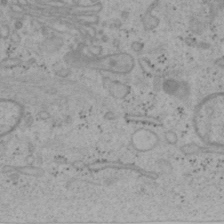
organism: Human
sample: HeLa cells